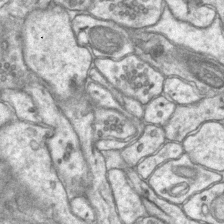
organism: Mouse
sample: CA1 Hippocampus